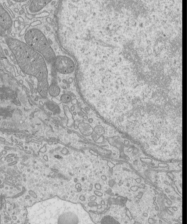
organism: Mouse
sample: Cilia; mouse epididymis